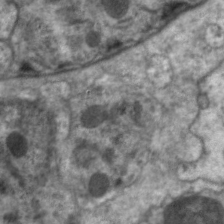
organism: C. elegans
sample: Pharynx